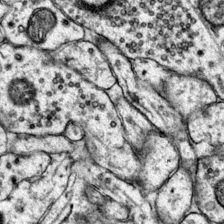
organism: Mouse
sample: Primary visual cortex